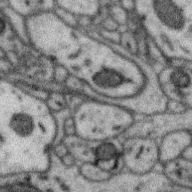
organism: Zebra finch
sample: Brain